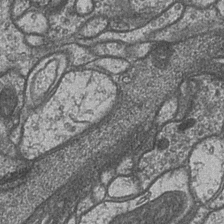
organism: Drosophila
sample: Optic medulla